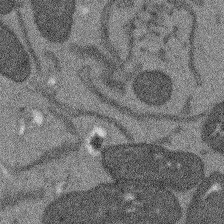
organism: Arabidopsis thaliana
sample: Root tip